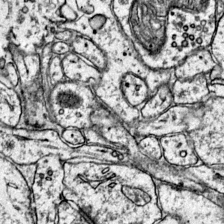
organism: Mouse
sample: Primary visual cortex